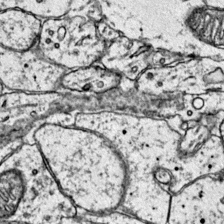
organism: Mouse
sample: Primary visual cortex